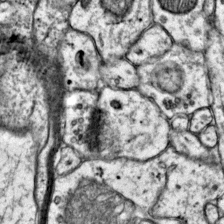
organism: Mouse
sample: Primary visual cortex